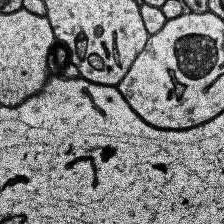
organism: Human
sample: Temporal Lobe